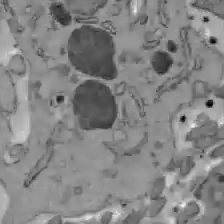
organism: C57BL Mouse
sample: Liver